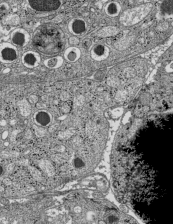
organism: C57BL Mouse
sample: Pancreatic islet